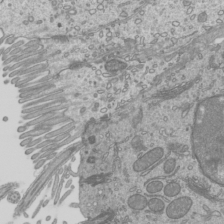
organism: Mouse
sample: Cilia; mouse epididymis